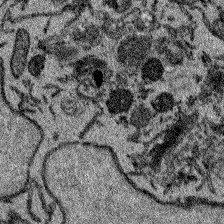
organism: Zebrafish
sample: Larval olfactory bulb